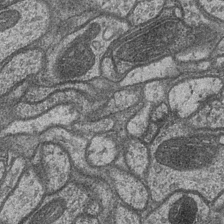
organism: Drosophila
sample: Optic medulla